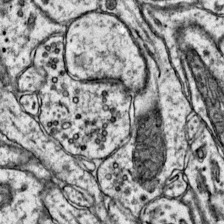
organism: Mouse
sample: Primary visual cortex